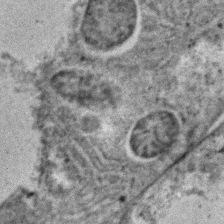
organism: C. elegans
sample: C. elegans embryo